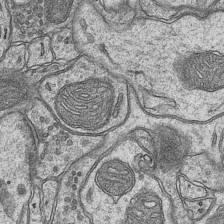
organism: Mouse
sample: CA1 Hippocampus